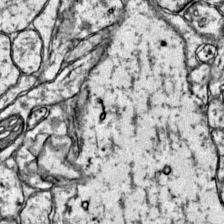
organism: Mouse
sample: Primary visual cortex